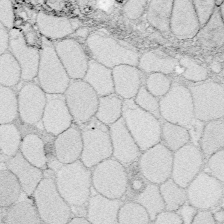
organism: Zebrafish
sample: Whole-Brain